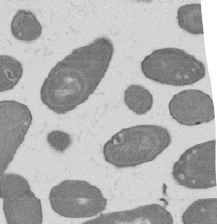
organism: B. subtilis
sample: Bacterial spore